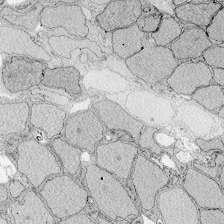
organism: Zebrafish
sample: Whole-Brain